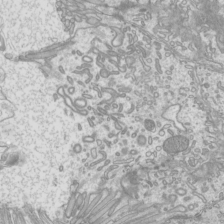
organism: Mouse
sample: Cilia; mouse epididymis